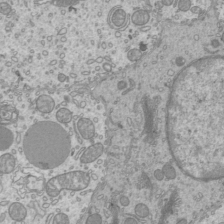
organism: Mouse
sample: Cilia; mouse epididymis